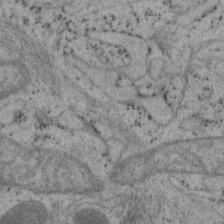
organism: Human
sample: HeLa cells